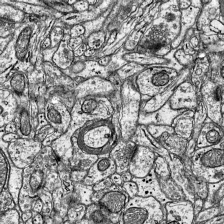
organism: Mouse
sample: Visual Cortex